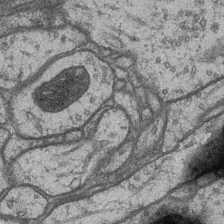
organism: Drosophila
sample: Optic medulla